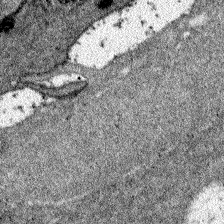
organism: Zebrafish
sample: Larval olfactory bulb